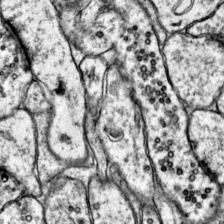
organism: Mouse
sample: Primary visual cortex